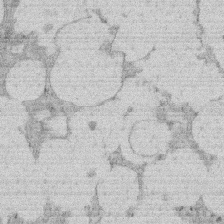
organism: Rat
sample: Salivary granule